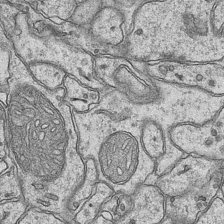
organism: Mouse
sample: CA1 Hippocampus